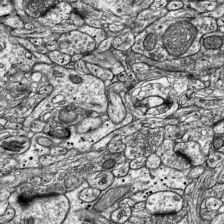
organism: Mouse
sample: Visual Cortex